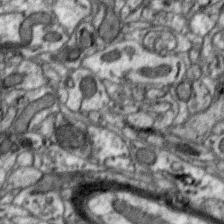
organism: Zebra finch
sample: Brain